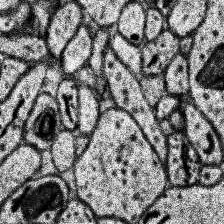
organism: Human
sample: Temporal Lobe